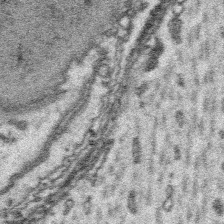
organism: Platynereis dumerilii